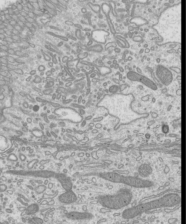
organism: Mouse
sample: Cilia; mouse epididymis